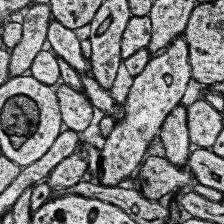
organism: Human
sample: Temporal Lobe